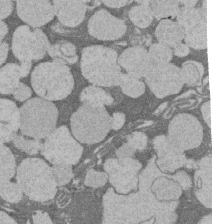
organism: Rat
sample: Salivary granule